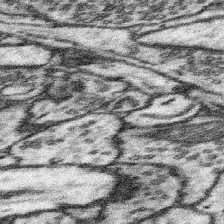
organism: Mouse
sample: Somatosensory cortex neuropil